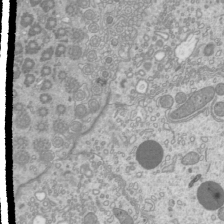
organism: Mouse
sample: Cilia; mouse epididymis